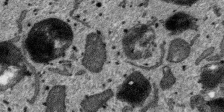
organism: Human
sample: Lung epithelial cells, uninfected (mock) control